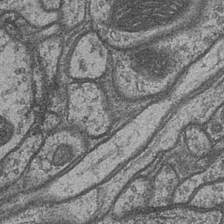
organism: Drosophila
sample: Optic medulla